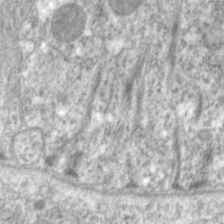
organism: C. elegans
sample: Pharynx